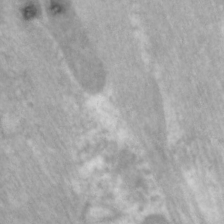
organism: C. elegans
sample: Pharynx